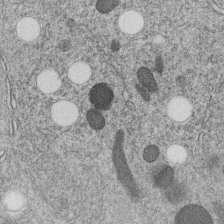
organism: C. elegans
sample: C. elegans embryo early stage